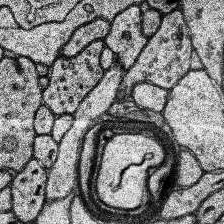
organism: Human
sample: Temporal Lobe